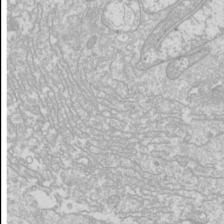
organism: Drosophila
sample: Cell division; meiosis; drosophila spermatocytes